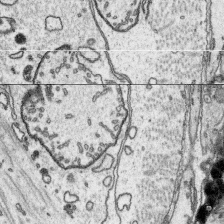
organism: Platynereis dumerilii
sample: Parapodia